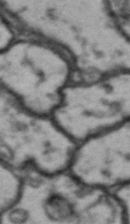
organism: Drosophila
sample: Brain